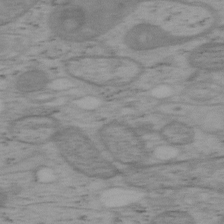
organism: Mouse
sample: OT-I killer T cells with ID8 ovarian cancer cells